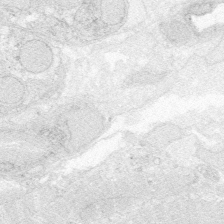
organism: Zebrafish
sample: Whole-Brain